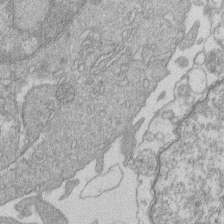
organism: Human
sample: Macrophage cells